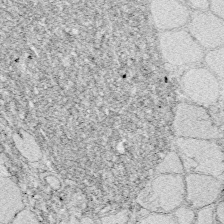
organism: Zebrafish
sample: Whole-Brain